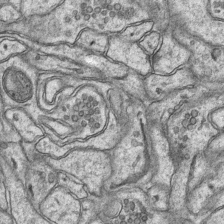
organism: Mouse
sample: CA1 Hippocampus